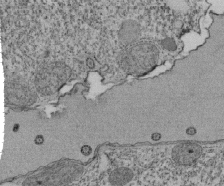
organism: Tetrahymena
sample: Cilia in tetrahymena